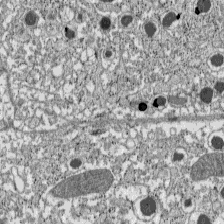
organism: C57BL Mouse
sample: Pancreatic islet